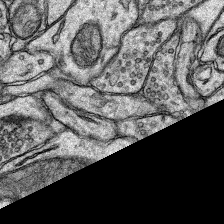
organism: Rat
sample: Hippocampus